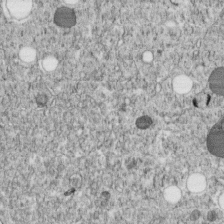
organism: C. elegans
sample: C. elegans embryo early stage